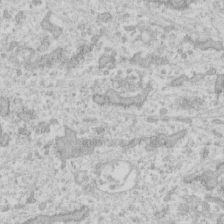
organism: Human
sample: Fibroblast cells